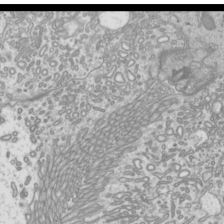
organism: Mouse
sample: Cilia; mouse epididymis